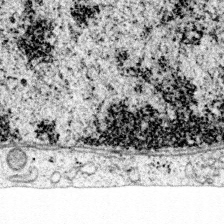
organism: Human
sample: HeLa cells